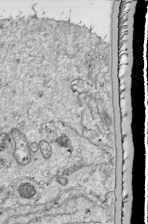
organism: Drosophila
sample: Cell division; meiosis; drosophila spermatocytes